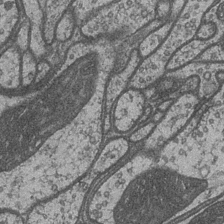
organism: Drosophila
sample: Optic medulla